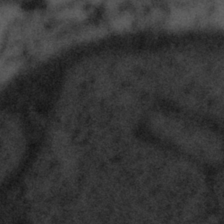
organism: Tuwongella immobilis